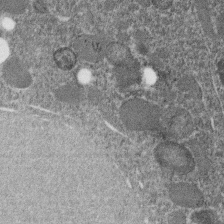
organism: C. elegans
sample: C. elegans embryo early stage